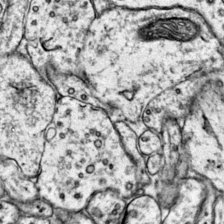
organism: Mouse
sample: Primary visual cortex